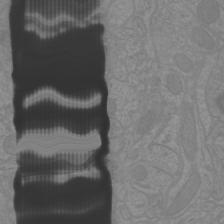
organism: Mouse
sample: Cortical neurons